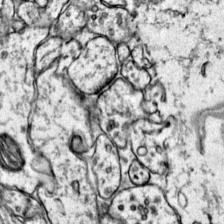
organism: Mouse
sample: Primary visual cortex